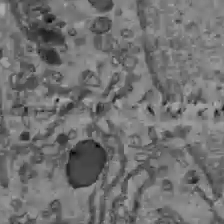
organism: C57BL Mouse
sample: Liver